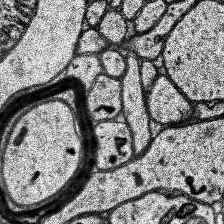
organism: Human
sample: Temporal Lobe